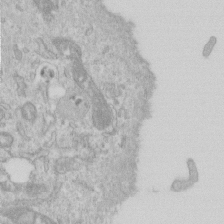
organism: Human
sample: Centriole in RPE cells